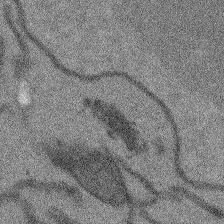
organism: Arabidopsis thaliana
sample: Root tip